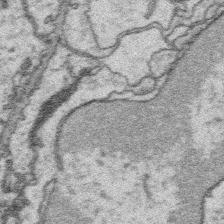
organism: Platynereis dumerilii